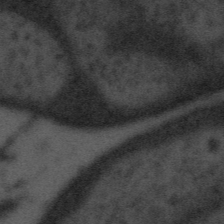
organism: Tuwongella immobilis